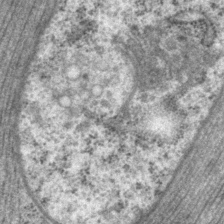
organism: P. pacificus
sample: Pharynx